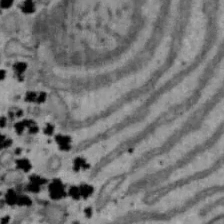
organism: Mouse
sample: Liver